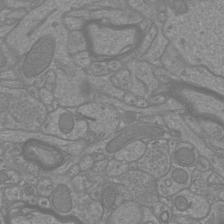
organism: Mouse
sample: Cortical neurons